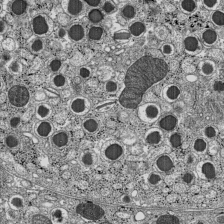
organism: C57BL Mouse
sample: Pancreatic islet